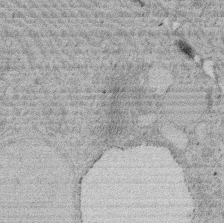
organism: Rat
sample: Salivary granule